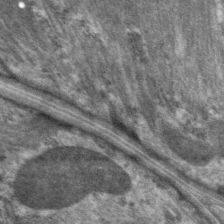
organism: C. elegans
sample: Pharynx